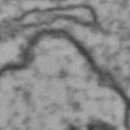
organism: Drosophila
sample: Brain